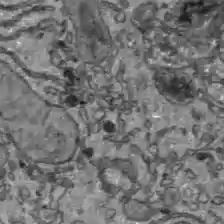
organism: C57BL Mouse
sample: Liver